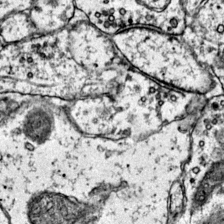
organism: Mouse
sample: Primary visual cortex